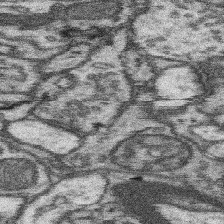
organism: Mouse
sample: Somatosensory cortex neuropil